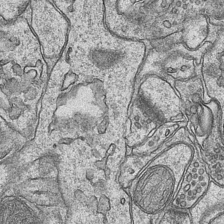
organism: Mouse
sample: CA1 Hippocampus